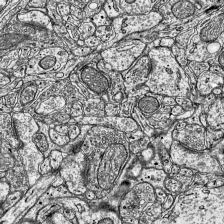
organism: Mouse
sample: Visual Cortex